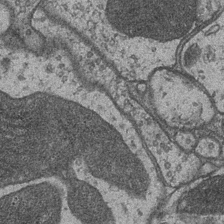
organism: Drosophila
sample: Optic medulla